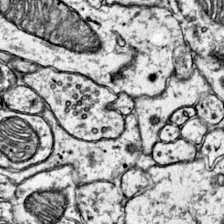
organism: Mouse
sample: Primary visual cortex